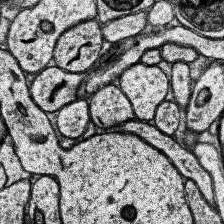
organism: Human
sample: Temporal Lobe